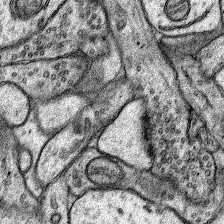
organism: Rat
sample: Hippocampus